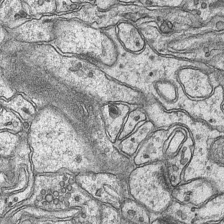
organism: Mouse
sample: CA1 Hippocampus